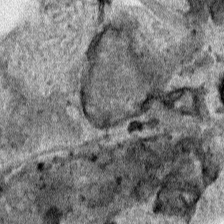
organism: Human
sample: Mitochondria in HCT116 cells